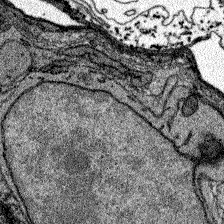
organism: Zebrafish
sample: Larval olfactory bulb